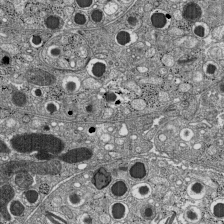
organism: C57BL Mouse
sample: Pancreatic islet